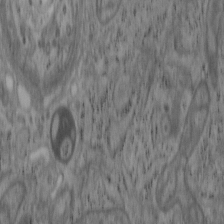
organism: Human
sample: HeLa cells